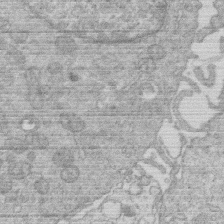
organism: Human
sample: Macrophage cells